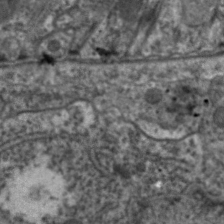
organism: C. elegans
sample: Pharynx